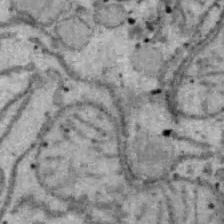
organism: Mouse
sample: Liver from an obese (ob/ob) mouse